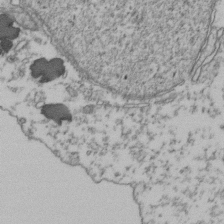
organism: Human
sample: Activated Jurkat CD4+ T cells